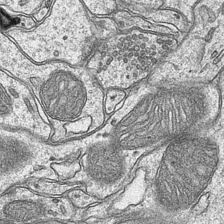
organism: Mouse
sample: CA1 Hippocampus